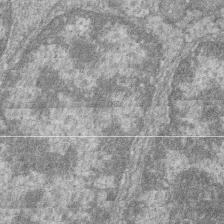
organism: Zebrafish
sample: Cilia; retinal pigment epithelium